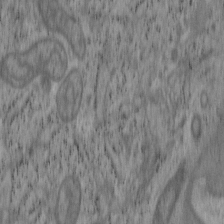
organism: Human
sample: HeLa cells